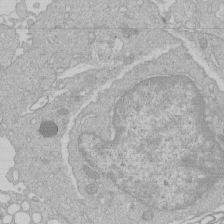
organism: Human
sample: Macrophage cells